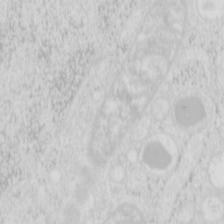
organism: Mouse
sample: Pancreas